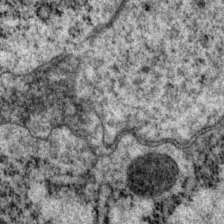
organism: P. pacificus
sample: Pharynx